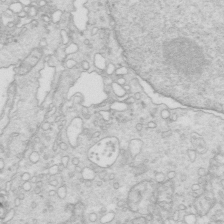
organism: Mouse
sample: Multiciliated cells